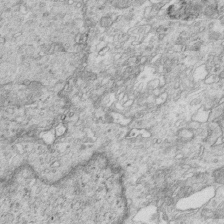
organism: Mouse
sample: Multiciliated cells